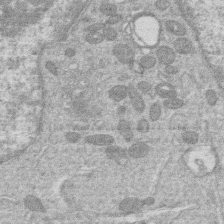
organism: Human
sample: Macrophage cells